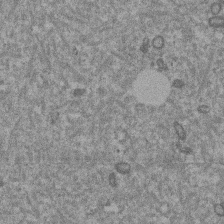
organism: Mouse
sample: Dividing mouse embryo 1 cell stage